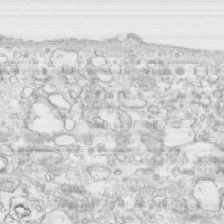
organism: Human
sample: CRL-1474